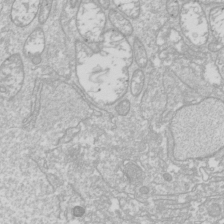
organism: Drosophila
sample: Cell division; meiosis; drosophila spermatocytes